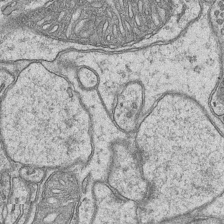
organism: Mouse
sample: CA1 Hippocampus